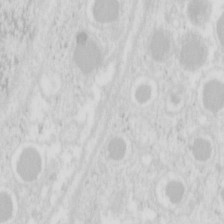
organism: Mouse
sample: Pancreas